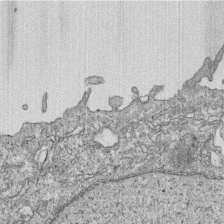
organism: Human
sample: HeLa cell HIV synapse